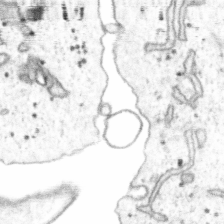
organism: Human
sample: HeLa cells